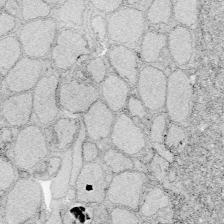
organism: Zebrafish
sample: Whole-Brain